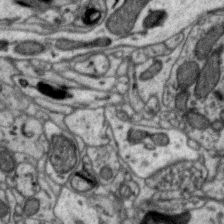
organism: Zebra finch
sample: Brain